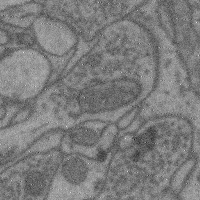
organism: Mouse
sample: Cerebral cortex